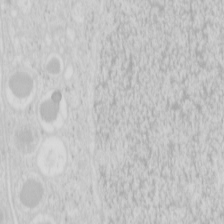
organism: Mouse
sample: Pancreas